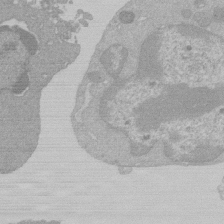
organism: Mouse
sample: Activated Pmel transgenic CD8+ T Cells